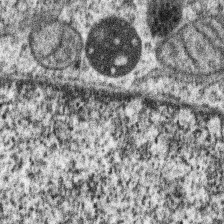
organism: Human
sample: HeLa cells